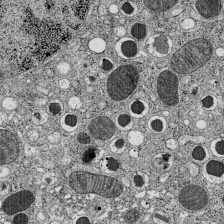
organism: C57BL Mouse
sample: Pancreatic islet